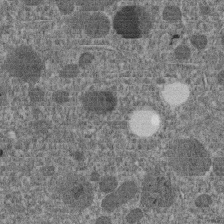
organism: C. elegans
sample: C. elegans embryo early stage